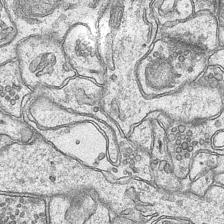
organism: Mouse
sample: CA1 Hippocampus